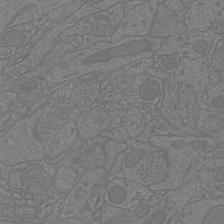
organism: Mouse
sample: Cortical neurons